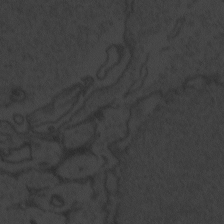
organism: Zebrafish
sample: Macrophage infected with Toxoplasma gondii